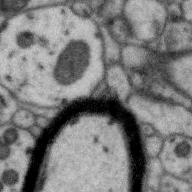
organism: Zebra finch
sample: Brain